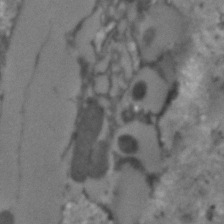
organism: C. elegans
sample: C. elegans embryo